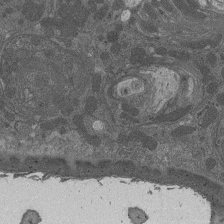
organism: Drosophila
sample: Antenna